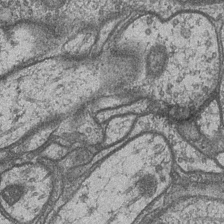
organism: Drosophila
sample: Optic medulla